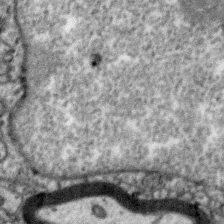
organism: Zebra finch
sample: Brain